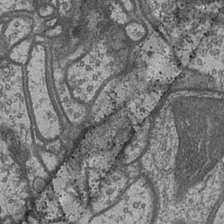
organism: Drosophila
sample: Optic medulla